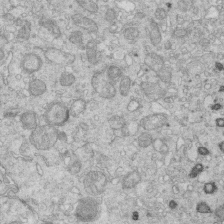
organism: Mouse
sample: Multiciliated cells